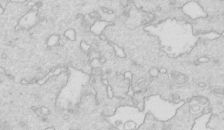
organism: Mouse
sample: Multiciliated cells